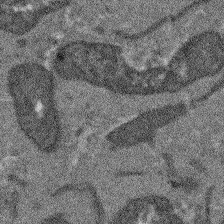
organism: Arabidopsis thaliana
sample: Root tip